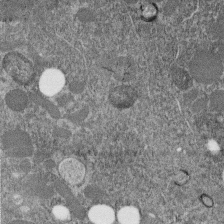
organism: C. elegans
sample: C. elegans embryo early stage